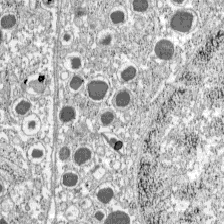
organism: C57BL Mouse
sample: Pancreatic islet